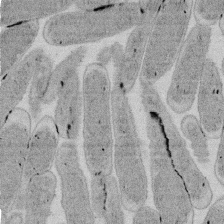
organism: E. coli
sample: Bacterial nucleoid